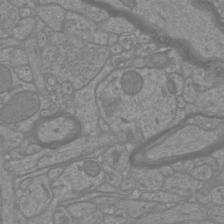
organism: Mouse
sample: Cortical neurons